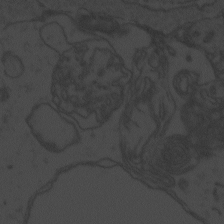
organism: Zebrafish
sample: Macrophage infected with Toxoplasma gondii